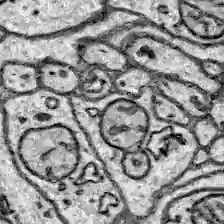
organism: Zebrafish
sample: Brain